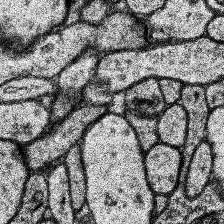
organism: Human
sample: Temporal Lobe